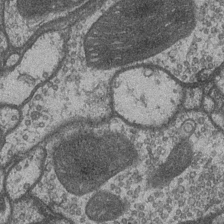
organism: Drosophila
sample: Optic medulla